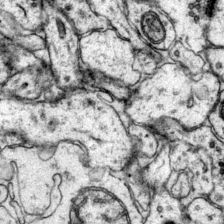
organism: Mouse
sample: Primary visual cortex